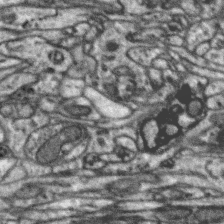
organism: Zebra finch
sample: Brain